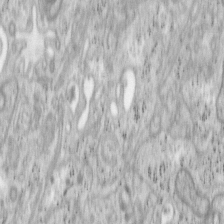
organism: Human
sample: HeLa cells